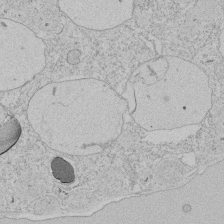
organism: Tetrahymena